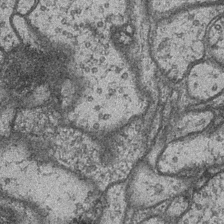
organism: Drosophila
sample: Optic medulla